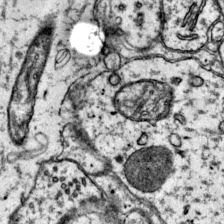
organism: Mouse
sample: Primary visual cortex